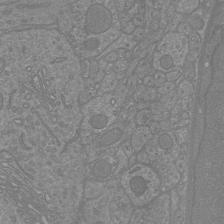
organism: Mouse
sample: Cortical neurons